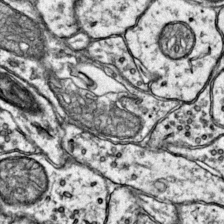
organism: Mouse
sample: Primary visual cortex